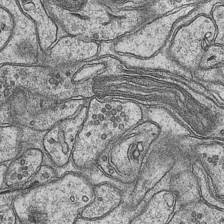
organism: Mouse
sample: CA1 Hippocampus